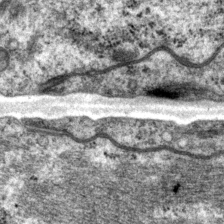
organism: P. pacificus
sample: Pharynx